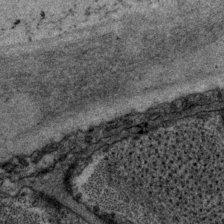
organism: P. pacificus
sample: Pharynx